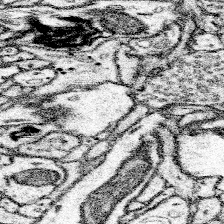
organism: Mouse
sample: Somatosensory cortex neuropil